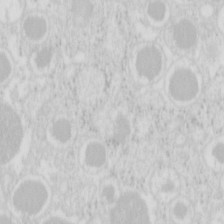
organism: Mouse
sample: Pancreas